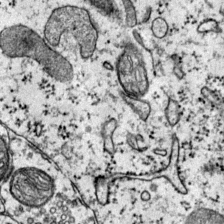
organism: Mouse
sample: Primary visual cortex